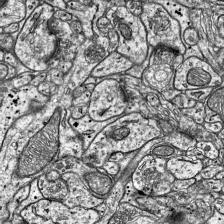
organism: Mouse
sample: Visual Cortex